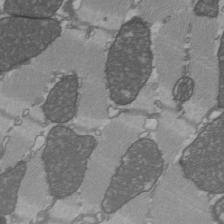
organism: C57BL Mouse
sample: Heart